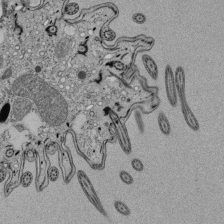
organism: Tetrahymena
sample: Cilia in tetrahymena